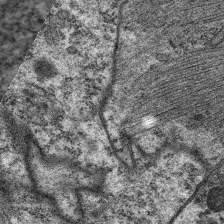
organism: C. elegans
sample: Pharynx